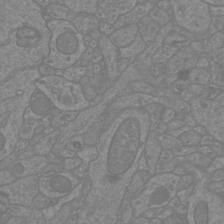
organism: Mouse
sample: Cortical neurons